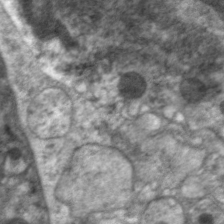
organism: C. elegans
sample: Pharynx